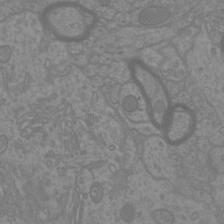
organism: Mouse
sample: Cortical neurons